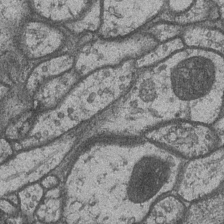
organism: Drosophila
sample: Optic medulla